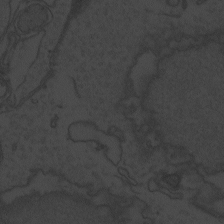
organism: Zebrafish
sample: Macrophage infected with Toxoplasma gondii